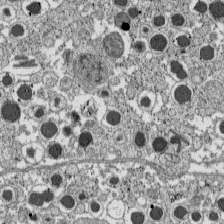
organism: C57BL Mouse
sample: Pancreatic islet